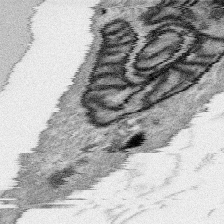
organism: Human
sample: HeLa cells